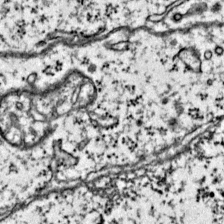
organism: Mouse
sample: Primary visual cortex